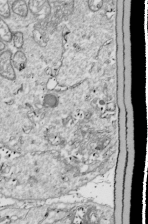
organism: Drosophila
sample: Cell division; meiosis; drosophila spermatocytes